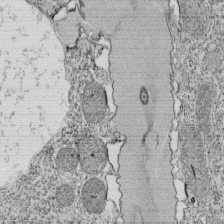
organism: Tetrahymena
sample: Cilia in tetrahymena